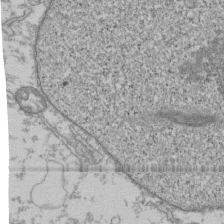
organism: Human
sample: Fibroblast cells